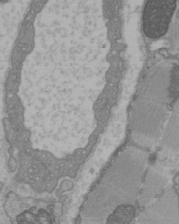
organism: C57BL Mouse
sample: Heart